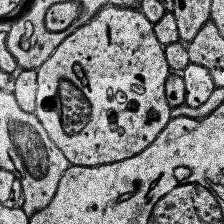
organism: Human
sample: Temporal Lobe